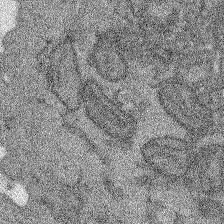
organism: Human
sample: HeLa cells